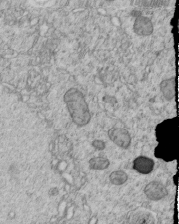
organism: C. elegans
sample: C. elegans embryo early stage